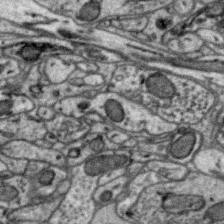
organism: Zebra finch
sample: Brain